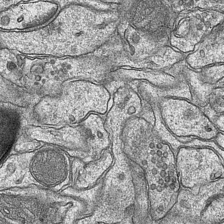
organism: Mouse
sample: CA1 Hippocampus